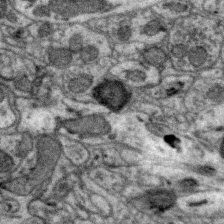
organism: Zebra finch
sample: Brain